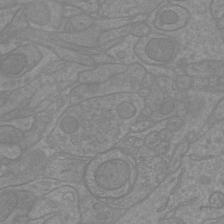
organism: Mouse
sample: Cortical neurons